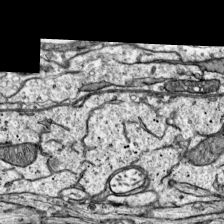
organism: Mouse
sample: Visual Cortex